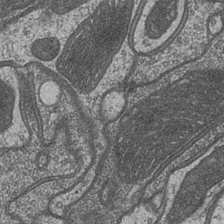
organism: Drosophila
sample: Optic medulla